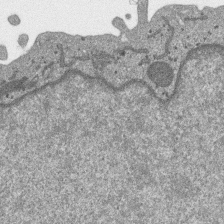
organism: Human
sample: Lung epithelial cells infected with SARS-CoV-2